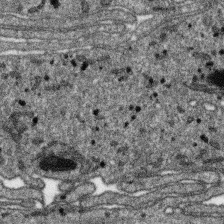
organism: Human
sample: Lung epithelial cells infected with SARS-CoV-2